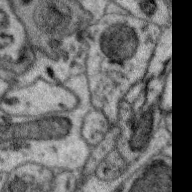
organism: Zebra finch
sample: Brain